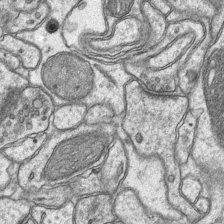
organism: Mouse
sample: CA1 Hippocampus